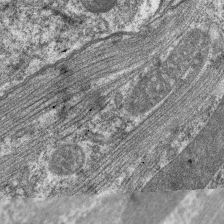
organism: C. elegans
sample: Pharynx